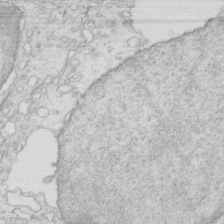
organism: Mouse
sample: Multiciliated cells